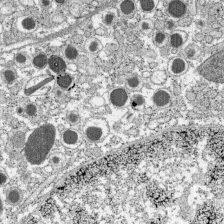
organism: C57BL Mouse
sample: Pancreatic islet